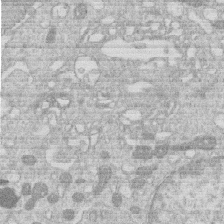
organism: Human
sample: Macrophage cells